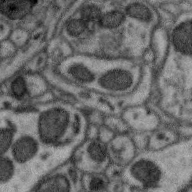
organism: Zebra finch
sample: Brain